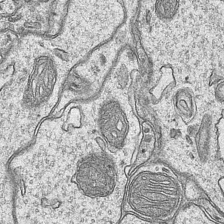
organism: Mouse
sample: CA1 Hippocampus